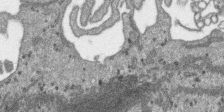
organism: Human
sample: Lung epithelial cells infected with SARS-CoV-2